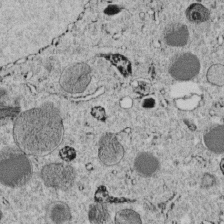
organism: C. elegans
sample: C. elegans embryo early stage